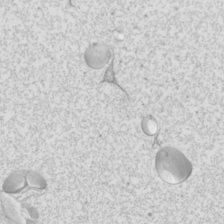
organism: Mouse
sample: Cilia; mouse epididymis